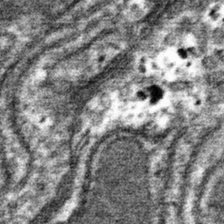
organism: Mouse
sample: Mouse hepatocytes